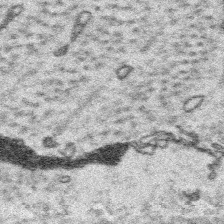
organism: Platynereis dumerilii